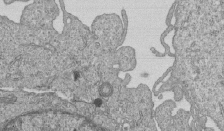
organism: Human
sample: MDA-MB-231 cells